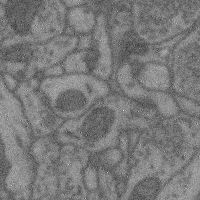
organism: Mouse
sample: Cerebral cortex